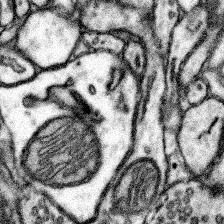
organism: Mouse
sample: Somatosensory cortex neuropil